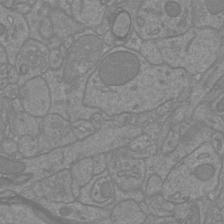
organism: Mouse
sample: Cortical neurons